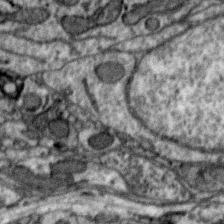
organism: Zebra finch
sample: Brain